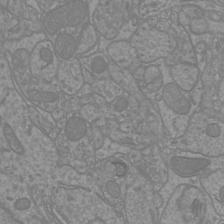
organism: Mouse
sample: Cortical neurons